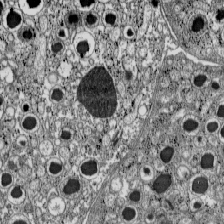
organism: C57BL Mouse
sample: Pancreatic islet